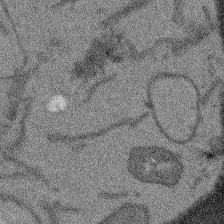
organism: Arabidopsis thaliana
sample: Root tip